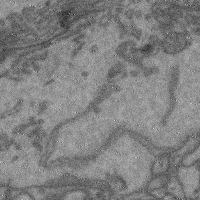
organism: Mouse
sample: Cerebral cortex